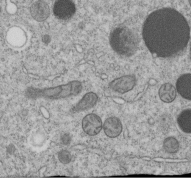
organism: C. elegans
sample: C. elegans embryo early stage